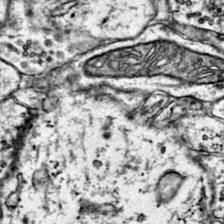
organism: Mouse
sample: Primary visual cortex